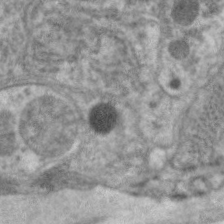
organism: C. elegans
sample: Pharynx